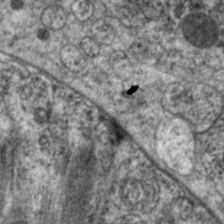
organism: C. elegans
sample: Pharynx